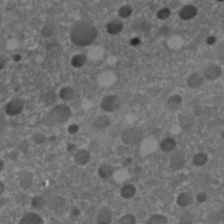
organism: C. elegans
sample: C. elegans embryo